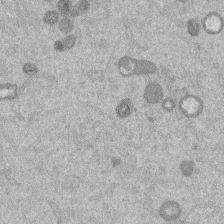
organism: Mouse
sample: Dividing mouse embryo 1 cell stage